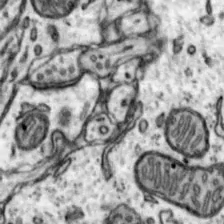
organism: Mouse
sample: Nucleus accumbens